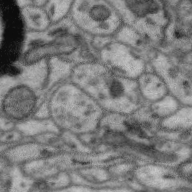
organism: Zebra finch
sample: Brain